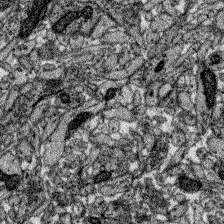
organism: Zebrafish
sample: Larval olfactory bulb